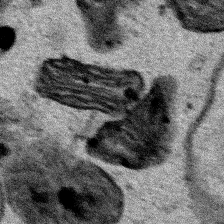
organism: Human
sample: Mitochondria in HCT116 cells